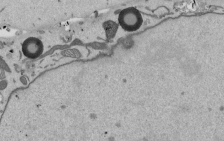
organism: Mouse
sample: ED-1 cell nuclei; centrioles